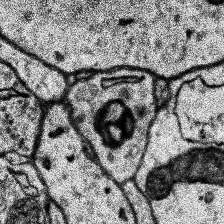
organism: Human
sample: Temporal Lobe